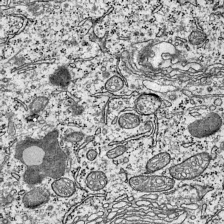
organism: Mouse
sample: Visual Cortex